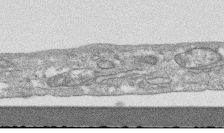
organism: Human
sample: CRL-1474